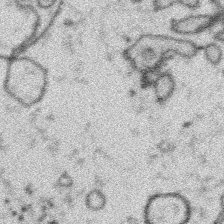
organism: Platynereis dumerilii